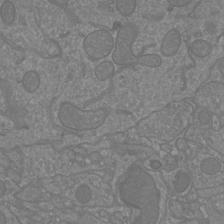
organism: Mouse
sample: Cortical neurons